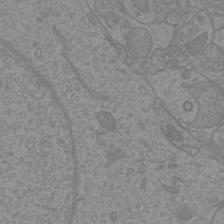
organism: Mouse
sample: Cortical neurons